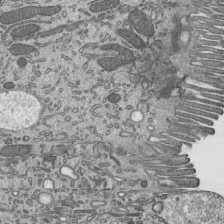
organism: Mouse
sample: Mouse epididymis efferent ductule cilia